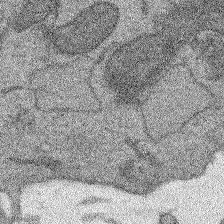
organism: Human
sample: HeLa cells